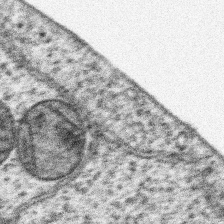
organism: Human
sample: HeLa cells